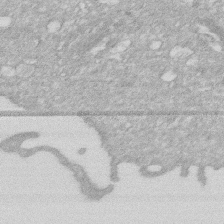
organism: Human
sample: HIV infected U937 cells